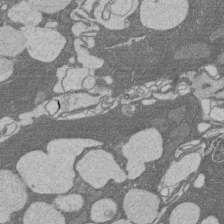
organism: Rat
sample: Salivary granule